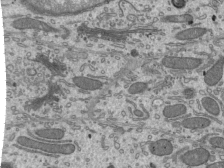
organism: Mouse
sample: Mouse epididymis efferent ductule cilia